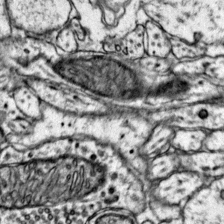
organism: Mouse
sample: Primary visual cortex